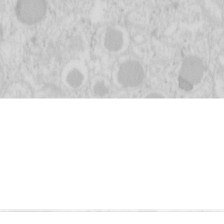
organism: Mouse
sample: Pancreas